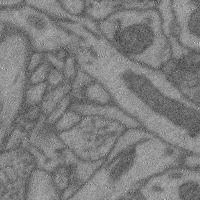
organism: Mouse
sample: Cerebral cortex